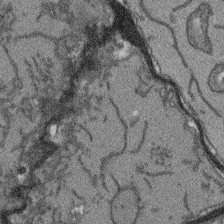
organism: Arabidopsis thaliana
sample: Root tip